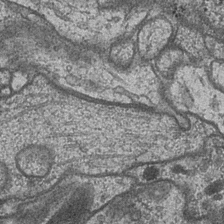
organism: Drosophila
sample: Optic medulla